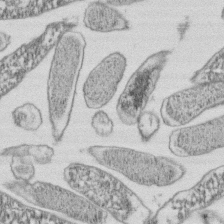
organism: E. coli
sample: Bacterial nucleoid